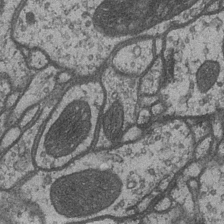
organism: Drosophila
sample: Optic medulla